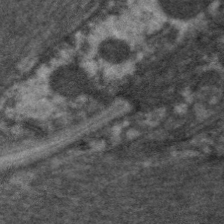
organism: C. elegans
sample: Pharynx